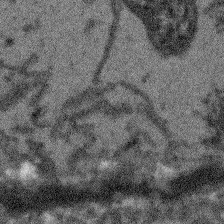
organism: Arabidopsis thaliana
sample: Root tip